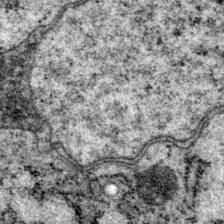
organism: P. pacificus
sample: Pharynx